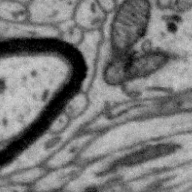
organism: Zebra finch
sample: Brain